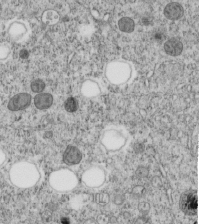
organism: C. elegans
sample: C. elegans embryo early stage